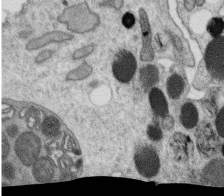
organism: C. elegans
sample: C. elegans oocyte; sperm cells